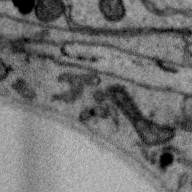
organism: Zebra finch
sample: Brain